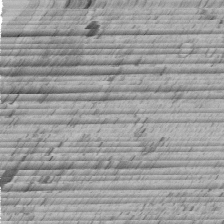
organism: C. elegans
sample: C. elegans embryo early stage